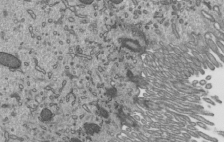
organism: Mouse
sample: Mouse epididymis efferent ductule cilia